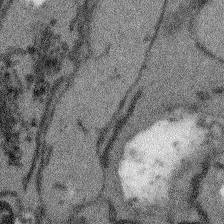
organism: Arabidopsis thaliana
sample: Root tip